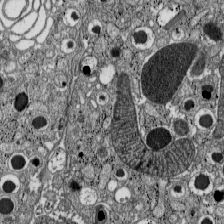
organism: C57BL Mouse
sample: Pancreatic islet